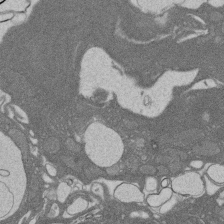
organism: Rat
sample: Salivary granule